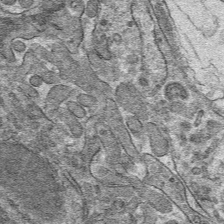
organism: Mouse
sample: Mouse hepatocytes